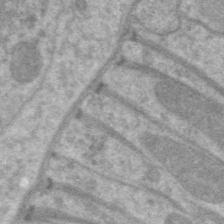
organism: C. elegans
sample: Pharynx